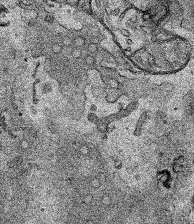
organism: Human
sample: Mitochondria in HCT116 cells